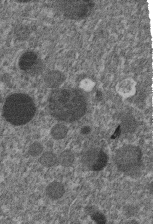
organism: C. elegans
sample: C. elegans embryo early stage